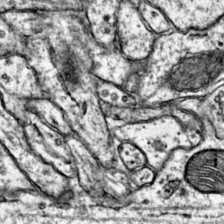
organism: Mouse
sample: Primary visual cortex